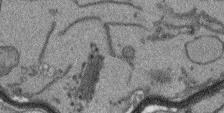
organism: Arabidopsis thaliana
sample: Root tip